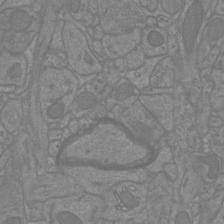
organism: Mouse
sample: Cortical neurons